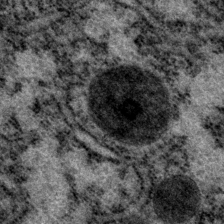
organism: P. pacificus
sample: Pharynx